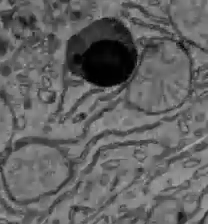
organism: C57BL Mouse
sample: Liver